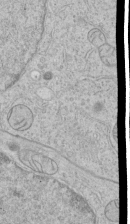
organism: Human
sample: Mitochondria in HCT116 cells